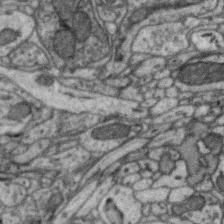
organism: Zebra finch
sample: Brain